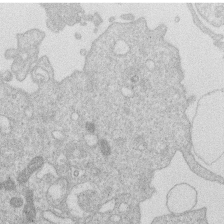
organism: Human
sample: Macrophage cells